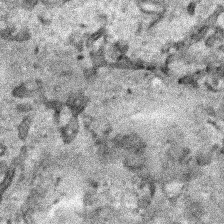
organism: Human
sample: Mitochondria in HCT116 cells